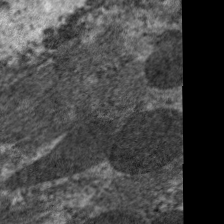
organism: C. elegans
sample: Pharynx